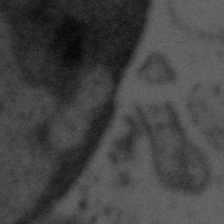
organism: Tuwongella immobilis